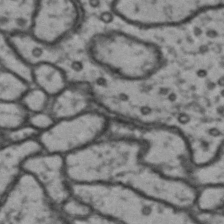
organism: Drosophila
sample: Brain